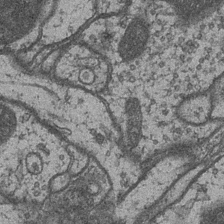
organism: Drosophila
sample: Optic medulla